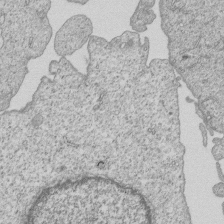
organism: Human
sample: MDA-MB-231 cells